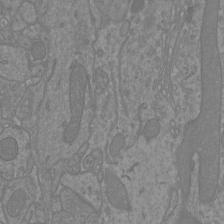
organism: Mouse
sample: Cortical neurons